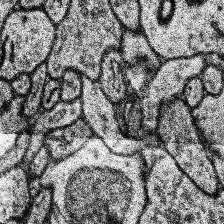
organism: Human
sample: Temporal Lobe